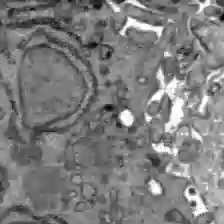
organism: C57BL Mouse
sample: Liver